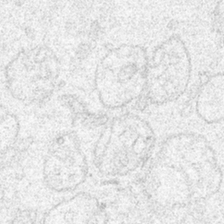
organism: Human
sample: Mitochondria in HCT116 cells